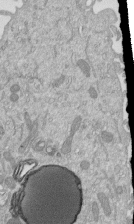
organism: Mouse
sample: ED-1 cell nuclei; centrioles